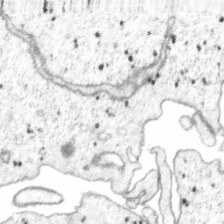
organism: Human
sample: HeLa cells